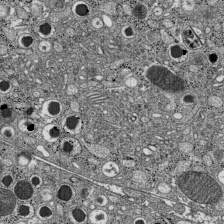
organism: C57BL Mouse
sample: Pancreatic islet